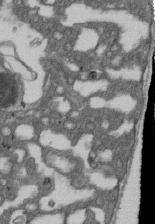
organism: Drosophila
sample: Nephrocyte